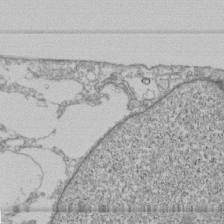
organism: Human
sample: Fibroblast cells